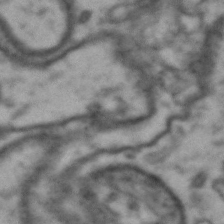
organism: Drosophila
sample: Brain